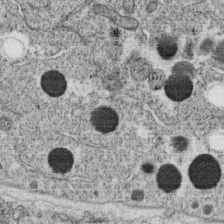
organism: C. elegans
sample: C. elegans oocyte; sperm cells